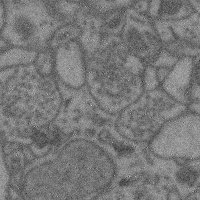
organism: Mouse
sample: Cerebral cortex